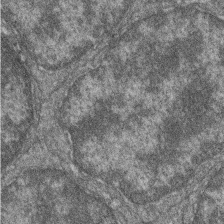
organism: Zebrafish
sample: Cilia; retinal pigment epithelium